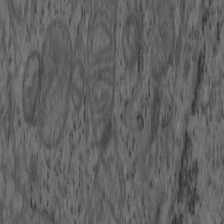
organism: Human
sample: HeLa cells